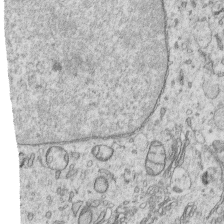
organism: Human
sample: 1205lu cells